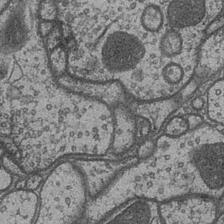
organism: Drosophila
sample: Optic medulla